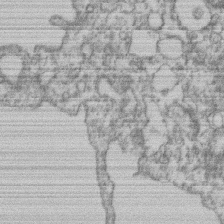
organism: Mouse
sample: T cell stromal cell synapse